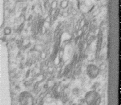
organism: Human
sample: Centriole in RPE cells